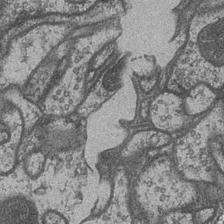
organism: Drosophila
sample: Optic medulla